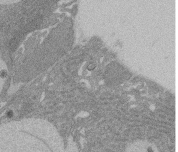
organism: Rat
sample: Salivary granule